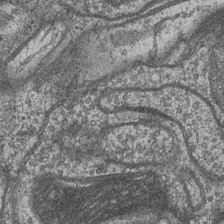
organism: Drosophila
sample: Optic medulla